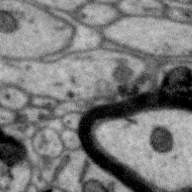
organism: Zebra finch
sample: Brain